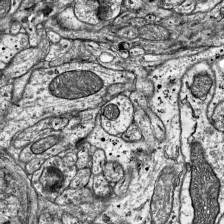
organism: Mouse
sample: Visual Cortex